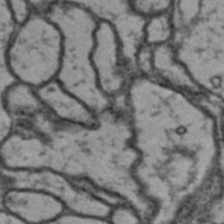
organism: Drosophila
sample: Brain